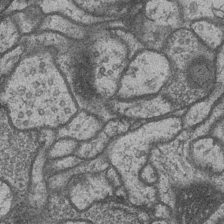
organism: Drosophila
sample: Optic medulla